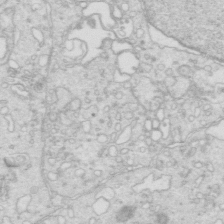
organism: Mouse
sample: Multiciliated cells